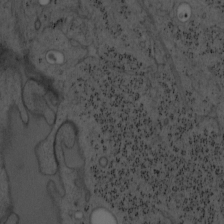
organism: Mouse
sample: OT-I killer T cells with ID8 ovarian cancer cells